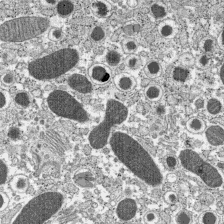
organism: C57BL Mouse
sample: Pancreatic islet